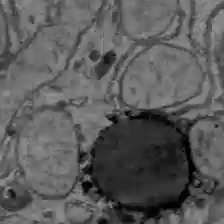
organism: C57BL Mouse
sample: Liver